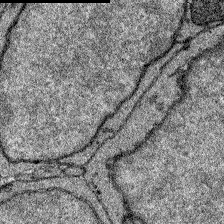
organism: Zebrafish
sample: Larval olfactory bulb